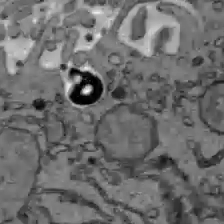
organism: C57BL Mouse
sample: Liver